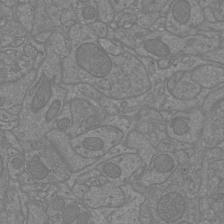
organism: Mouse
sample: Cortical neurons